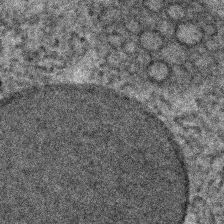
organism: C. elegans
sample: C. elegans embryo